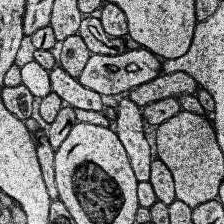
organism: Human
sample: Temporal Lobe